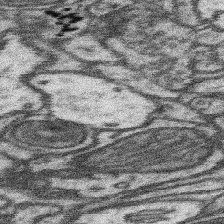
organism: Mouse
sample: Somatosensory cortex neuropil